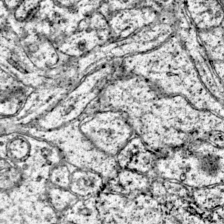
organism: Mouse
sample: Primary visual cortex